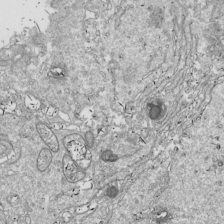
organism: Drosophila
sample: Cell division; meiosis; drosophila spermatocytes